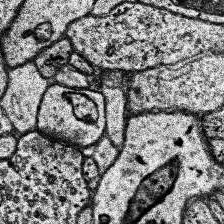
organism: Human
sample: Temporal Lobe